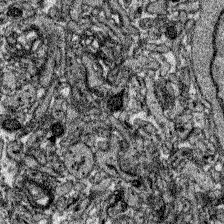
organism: Zebrafish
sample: Larval olfactory bulb